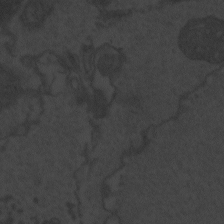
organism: Zebrafish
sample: Macrophage infected with Toxoplasma gondii